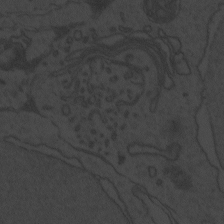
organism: Zebrafish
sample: Macrophage infected with Toxoplasma gondii